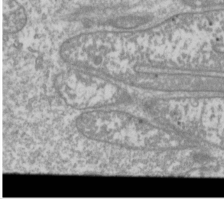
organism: Drosophila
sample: Cell division; meiosis; drosophila spermatocytes